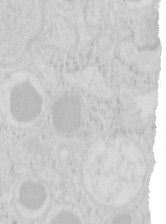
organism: Mouse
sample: Pancreas